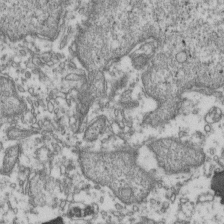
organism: Human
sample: Activated Jurkat CD4+ T cells